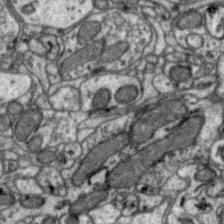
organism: Zebra finch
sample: Brain